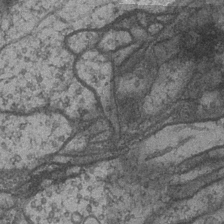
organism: Drosophila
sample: Optic medulla